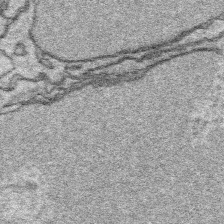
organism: Platynereis dumerilii